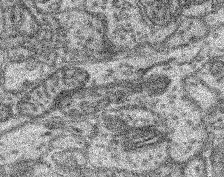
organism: Mouse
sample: Retina